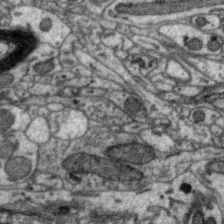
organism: Zebra finch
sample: Brain